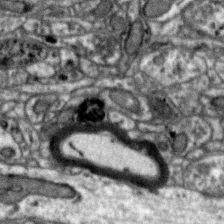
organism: Zebra finch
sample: Brain